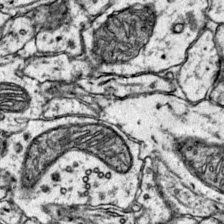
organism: Mouse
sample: Primary visual cortex